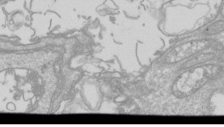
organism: Drosophila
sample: Cell division; meiosis; drosophila spermatocytes